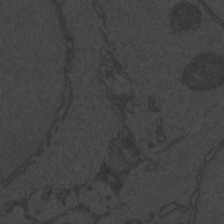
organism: Zebrafish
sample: Macrophage infected with Toxoplasma gondii